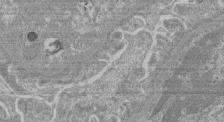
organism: Mouse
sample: Glomerulus